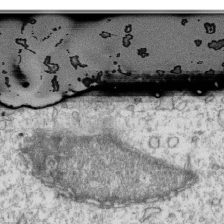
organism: Mouse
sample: Activated OT-1 CD8+ T cells